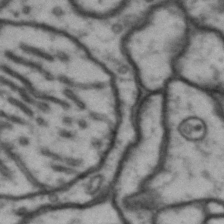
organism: Drosophila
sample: Brain